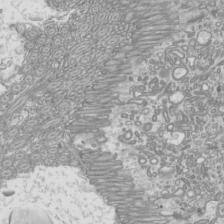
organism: Mouse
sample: Cilia; mouse epididymis